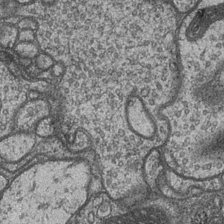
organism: Drosophila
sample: Optic medulla